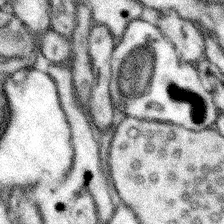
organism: Mouse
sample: Somatosensory cortex neuropil